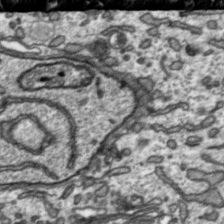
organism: Toxoplasma gondii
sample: Parasites in a vacuole inside a host cell